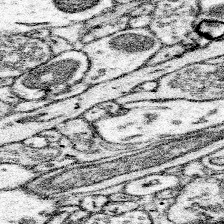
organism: Mouse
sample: Somatosensory cortex neuropil